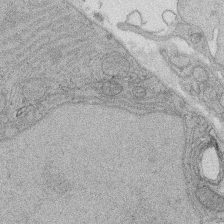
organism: Rat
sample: Salivary granule